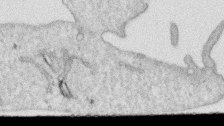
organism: Human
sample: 1205lu cells